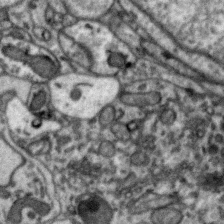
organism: Zebra finch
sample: Brain